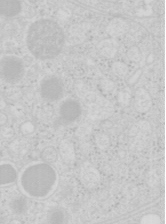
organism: Mouse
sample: Pancreas